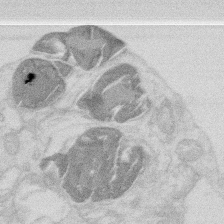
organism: Mouse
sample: T cell stromal cell synapse